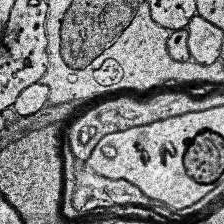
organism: Human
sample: Temporal Lobe